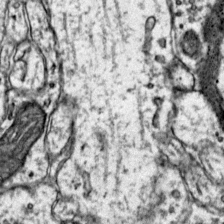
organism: Mouse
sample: Primary visual cortex